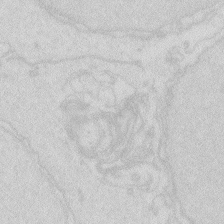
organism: Zebrafish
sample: Macrophage